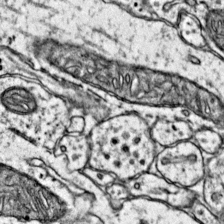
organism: Mouse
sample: Primary visual cortex